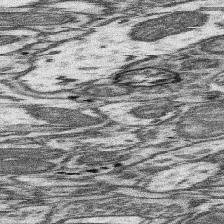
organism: Mouse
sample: Somatosensory cortex neuropil